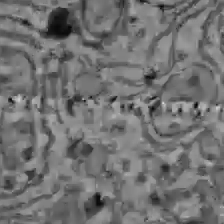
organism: C57BL Mouse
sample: Liver